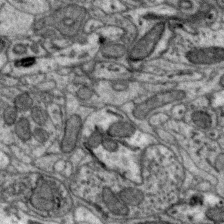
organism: Zebra finch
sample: Brain